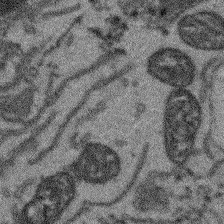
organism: Arabidopsis thaliana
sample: Root tip